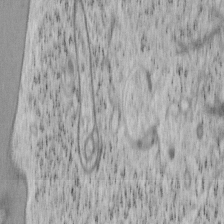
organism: Human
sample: HeLa cells